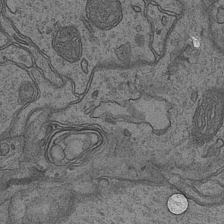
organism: Mouse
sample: CA1 Hippocampus